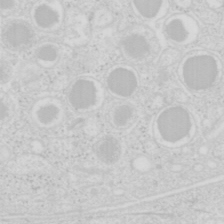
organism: Mouse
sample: Pancreas